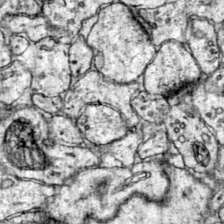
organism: Mouse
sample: Primary visual cortex